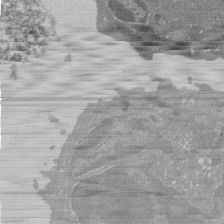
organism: Mouse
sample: Activated Pmel transgenic CD8+ T Cells